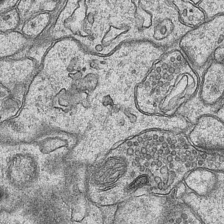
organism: Mouse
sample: CA1 Hippocampus